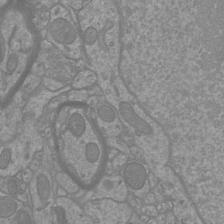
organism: Mouse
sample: Cortical neurons